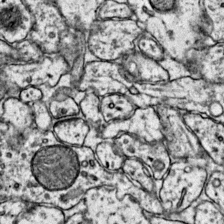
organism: Mouse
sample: Primary visual cortex